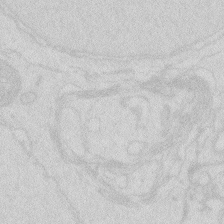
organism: Zebrafish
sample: Macrophage